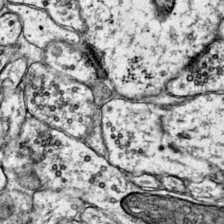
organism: Mouse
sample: Primary visual cortex